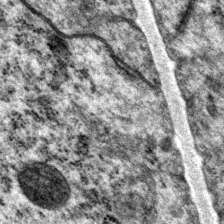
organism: P. pacificus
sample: Pharynx